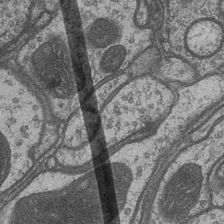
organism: Drosophila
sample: Optic medulla